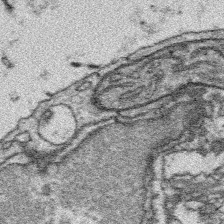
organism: Platynereis dumerilii